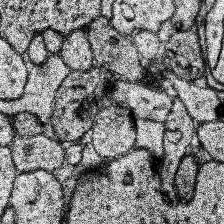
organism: Human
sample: Temporal Lobe